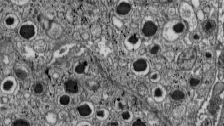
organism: C57BL Mouse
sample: Pancreatic islet